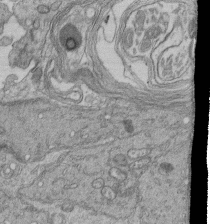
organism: Human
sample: Retinal organoid Rod and Cone cells